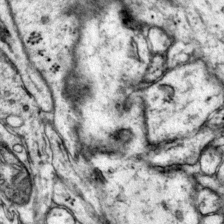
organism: Mouse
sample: Primary visual cortex